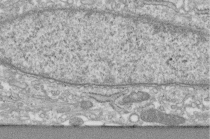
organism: Human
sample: Centriole in fibroblast cells